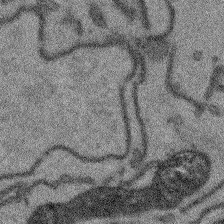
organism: Arabidopsis thaliana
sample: Root tip